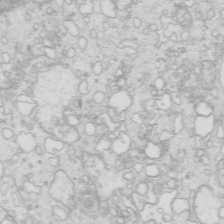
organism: Mouse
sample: Multiciliated cells